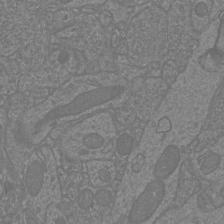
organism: Mouse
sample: Cortical neurons